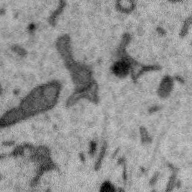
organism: Zebra finch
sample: Brain